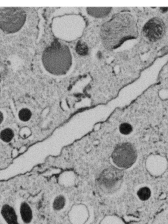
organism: C. elegans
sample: C. elegans embryo early stage